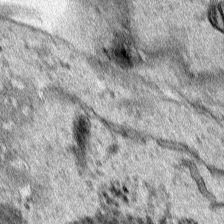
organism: Human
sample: Mitochondria in HCT116 cells